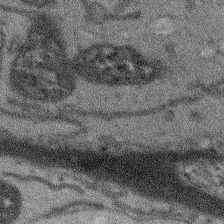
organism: Arabidopsis thaliana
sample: Root tip